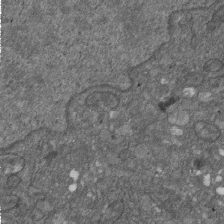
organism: Drosophila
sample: Nephrocyte